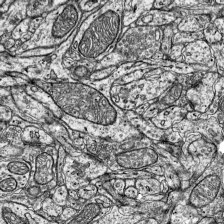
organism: Mouse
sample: Visual Cortex